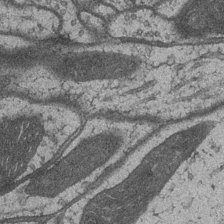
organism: Drosophila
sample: Optic medulla